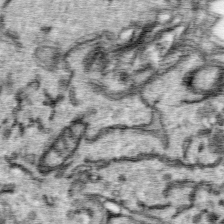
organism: Human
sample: HeLa cells